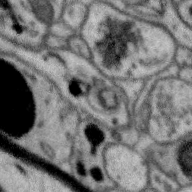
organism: Zebra finch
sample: Brain